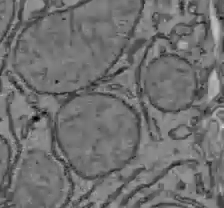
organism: C57BL Mouse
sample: Liver